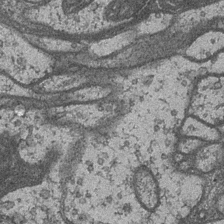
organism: Drosophila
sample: Optic medulla